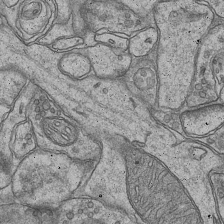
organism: Mouse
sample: CA1 Hippocampus